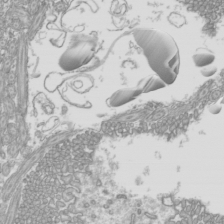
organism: Mouse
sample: Cilia; mouse epididymis